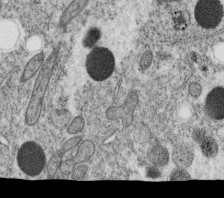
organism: C. elegans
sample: C. elegans oocyte; sperm cells